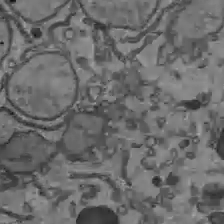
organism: C57BL Mouse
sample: Liver